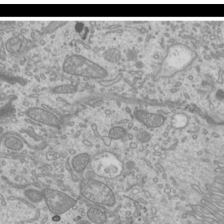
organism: Mouse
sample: Cilia; mouse epididymis